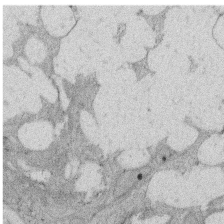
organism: Rat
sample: Salivary granule